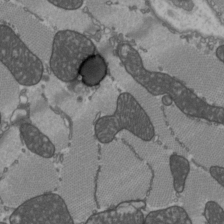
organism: C57BL Mouse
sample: Heart